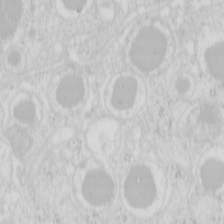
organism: Mouse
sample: Pancreas